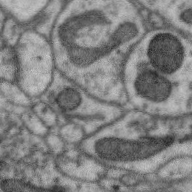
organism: Zebra finch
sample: Brain